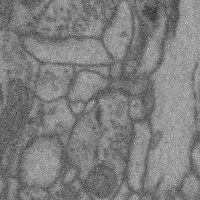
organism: Mouse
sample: Cerebral cortex